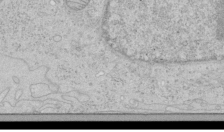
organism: Human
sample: Mitochondria in HCT116 cells